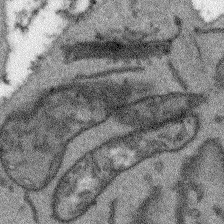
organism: Arabidopsis thaliana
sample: Root tip